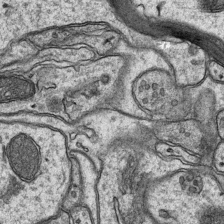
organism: Mouse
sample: CA1 Hippocampus